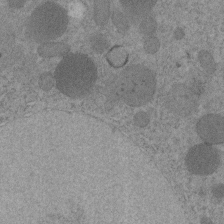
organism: C. elegans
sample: C. elegans embryo early stage